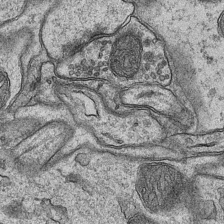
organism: Mouse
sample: CA1 Hippocampus